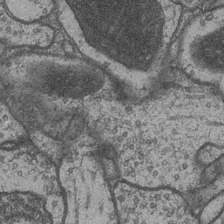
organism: Drosophila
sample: Optic medulla